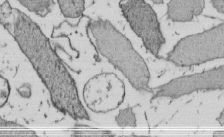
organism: E. coli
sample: Bacterial nucleoid